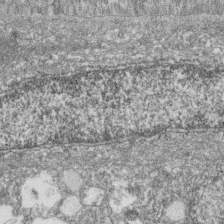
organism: Zebrafish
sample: Cilia; retinal pigment epithelium